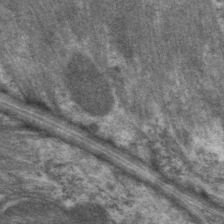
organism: C. elegans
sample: Pharynx